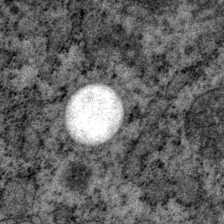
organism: P. pacificus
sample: Pharynx